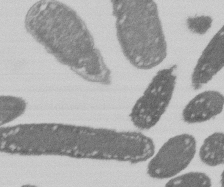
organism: E. coli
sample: Bacterial nucleoid